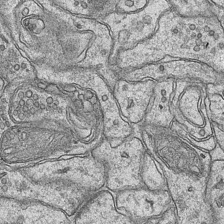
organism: Mouse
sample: CA1 Hippocampus